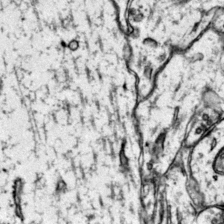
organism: Mouse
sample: Primary visual cortex